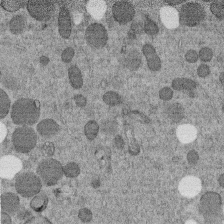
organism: C. elegans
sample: C. elegans embryo early stage